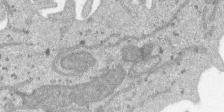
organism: Human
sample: Lung epithelial cells infected with SARS-CoV-2